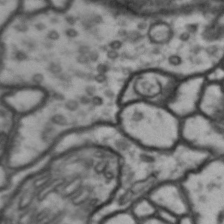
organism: Drosophila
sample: Brain